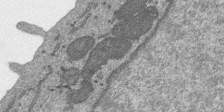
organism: Human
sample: Lung epithelial cells infected with SARS-CoV-2